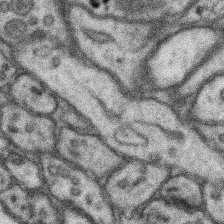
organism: Mouse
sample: Somatosensory cortex neuropil